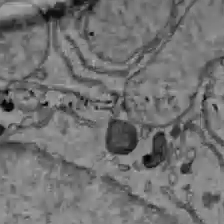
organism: C57BL Mouse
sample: Liver